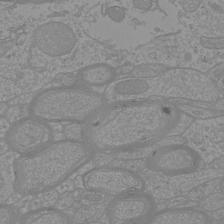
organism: Mouse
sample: Cortical neurons